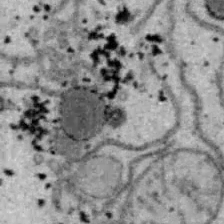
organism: Mouse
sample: Liver from an obese (ob/ob) mouse